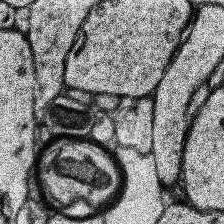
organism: Human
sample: Temporal Lobe